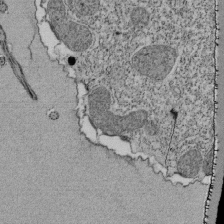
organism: Tetrahymena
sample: Cilia in tetrahymena